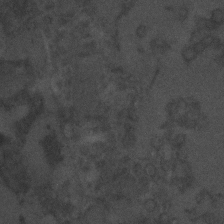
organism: C. elegans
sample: C. elegans embryo